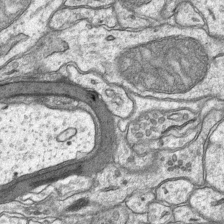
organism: Mouse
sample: CA1 Hippocampus